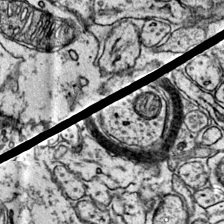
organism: Mouse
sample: Primary visual cortex